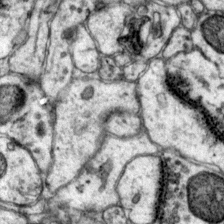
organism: Mouse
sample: Primary visual cortex